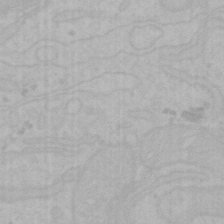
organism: Mouse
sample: Choroid plexus